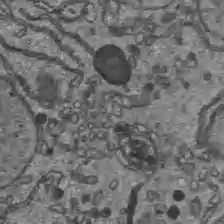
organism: C57BL Mouse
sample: Liver